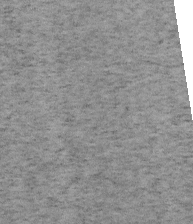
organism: Mouse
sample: OT-I killer T cells with ID8 ovarian cancer cells